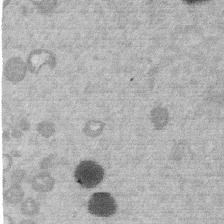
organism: Mouse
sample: Dividing mouse embryo 1 cell stage